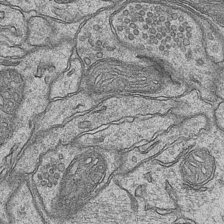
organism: Mouse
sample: CA1 Hippocampus